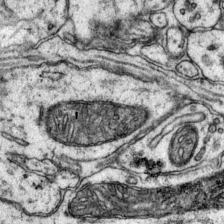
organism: Mouse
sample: Primary visual cortex